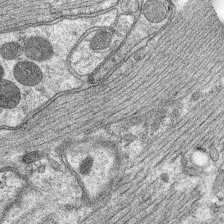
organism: C. elegans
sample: Pharynx